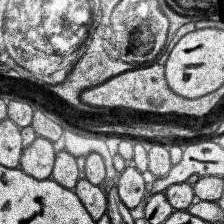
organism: Human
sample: Temporal Lobe